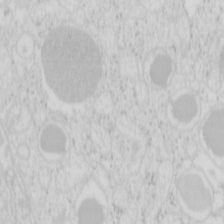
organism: Mouse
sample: Pancreas